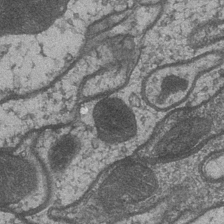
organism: Drosophila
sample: Optic medulla